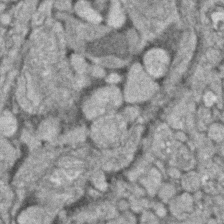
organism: Zebrafish